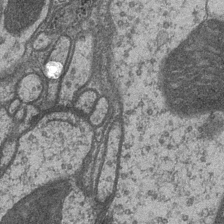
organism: Drosophila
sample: Optic medulla